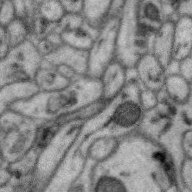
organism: Zebra finch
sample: Brain